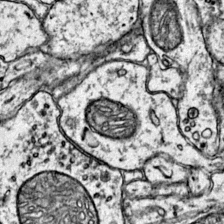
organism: Mouse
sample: Primary visual cortex